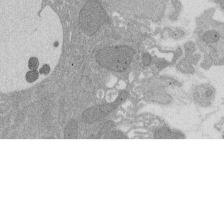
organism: Rat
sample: Salivary granule